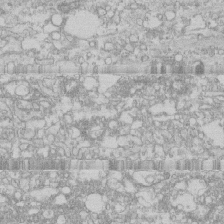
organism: Human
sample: CRL-1474